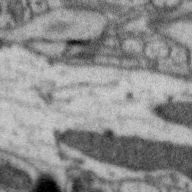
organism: Zebra finch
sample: Brain